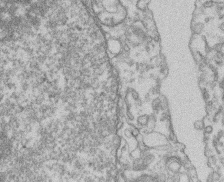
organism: Mouse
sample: T cell stromal cell synapse